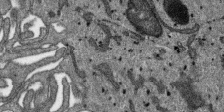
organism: Human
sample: Lung epithelial cells, uninfected (mock) control